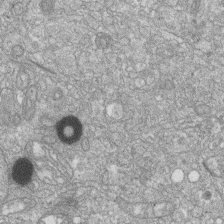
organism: Human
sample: HeLa cell HIV synapse